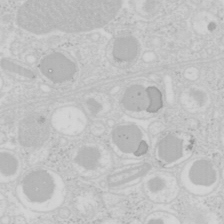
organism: Mouse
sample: Pancreas